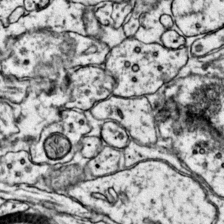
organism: Mouse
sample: Primary visual cortex